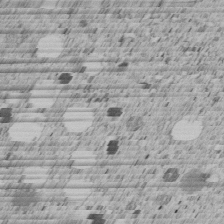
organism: C. elegans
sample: C. elegans embryo early stage